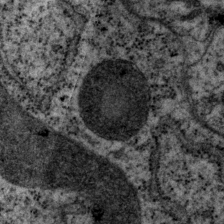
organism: P. pacificus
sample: Pharynx